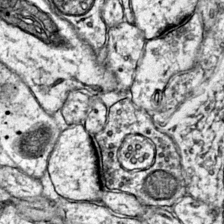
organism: Mouse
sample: Primary visual cortex